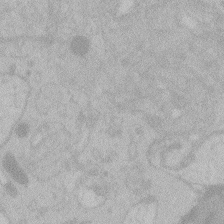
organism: Zebrafish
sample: Macrophage infected with Toxoplasma gondii